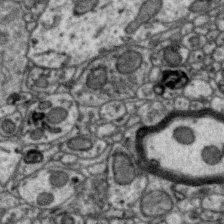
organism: Zebra finch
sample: Brain